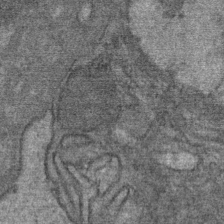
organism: Mouse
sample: Mouse Salivary gland